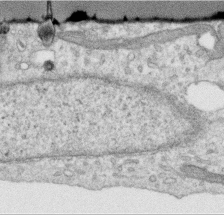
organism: Human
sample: Centriole in RPE cells